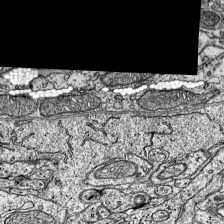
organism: Mouse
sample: Visual Cortex